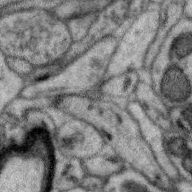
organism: Zebra finch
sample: Brain